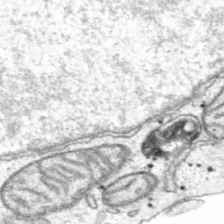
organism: Human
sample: HeLa cells